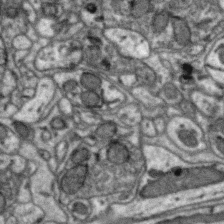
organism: Zebra finch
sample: Brain